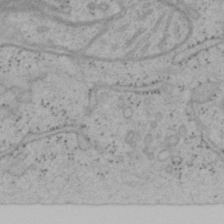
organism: Human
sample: HeLa cells